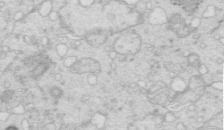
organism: Mouse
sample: Multiciliated cells